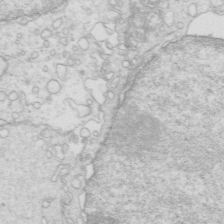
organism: Mouse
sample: Multiciliated cells